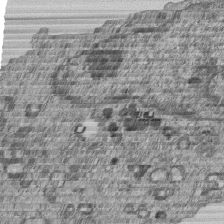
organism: Human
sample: MDA-MB-231 cells